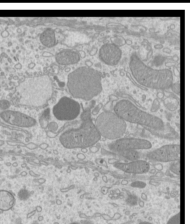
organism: Mouse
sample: Cilia; mouse epididymis